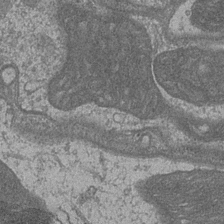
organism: Drosophila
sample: Optic medulla